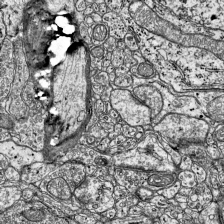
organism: Mouse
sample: Visual Cortex